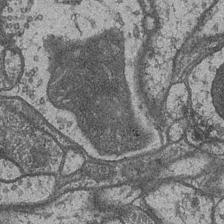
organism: Drosophila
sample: Optic medulla